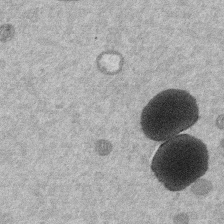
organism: Mouse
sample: Dividing mouse embryo 1 cell stage